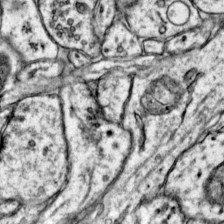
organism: Mouse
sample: Primary visual cortex